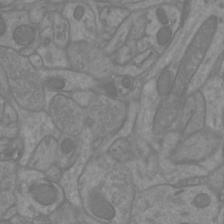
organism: Mouse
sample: Cortical neurons